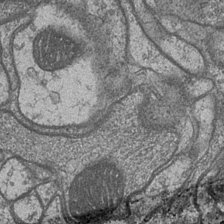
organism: Drosophila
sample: Optic medulla